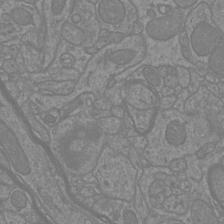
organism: Mouse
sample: Cortical neurons